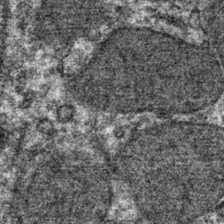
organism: Mouse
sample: Mouse hepatocytes